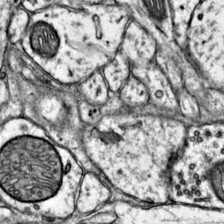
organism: Mouse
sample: Primary visual cortex